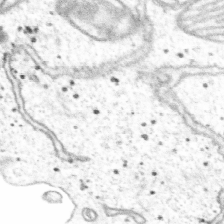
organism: Human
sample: HeLa cells